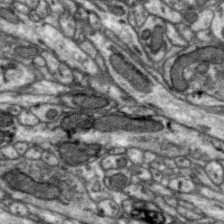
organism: Zebra finch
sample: Brain